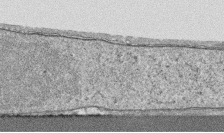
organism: Human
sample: CRL-1474